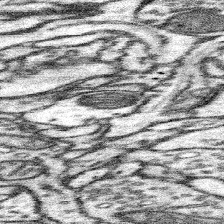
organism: Mouse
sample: Somatosensory cortex neuropil